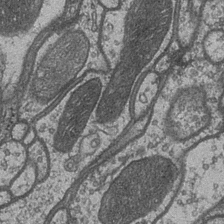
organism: Drosophila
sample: Optic medulla